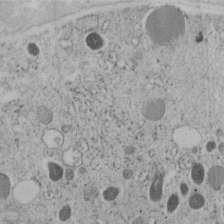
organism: C. elegans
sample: C. elegans embryo early stage